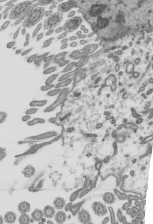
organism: Mouse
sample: Mouse epididymis efferent ductule cilia